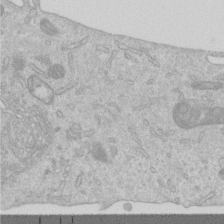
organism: Human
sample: Centriole in RPE cells